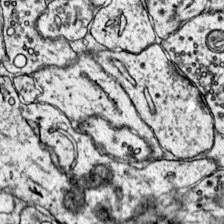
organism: Mouse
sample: Primary visual cortex